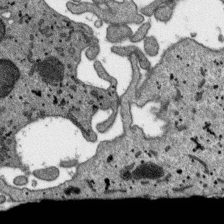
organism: Human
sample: Lung epithelial cells, uninfected (mock) control